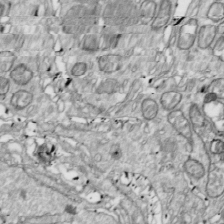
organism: Drosophila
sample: Cell division; meiosis; drosophila spermatocytes